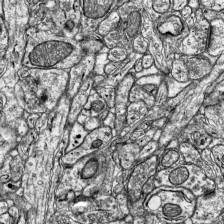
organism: Mouse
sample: Visual Cortex